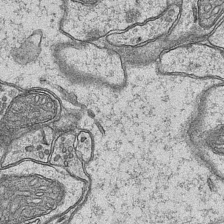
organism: Mouse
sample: CA1 Hippocampus